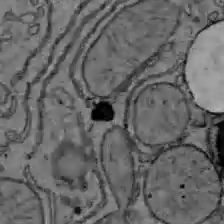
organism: C57BL Mouse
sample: Liver